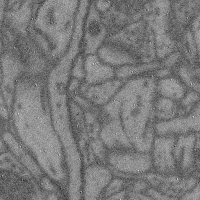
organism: Mouse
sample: Cerebral cortex